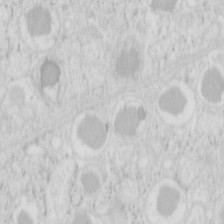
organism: Mouse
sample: Pancreas